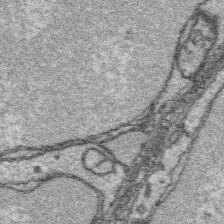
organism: Platynereis dumerilii